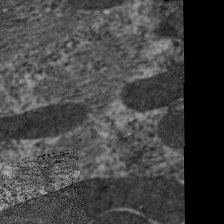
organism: C. elegans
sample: Pharynx